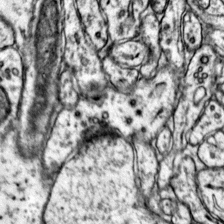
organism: Mouse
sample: Primary visual cortex